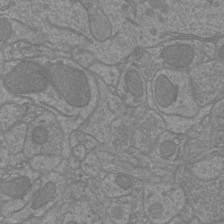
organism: Mouse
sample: Cortical neurons